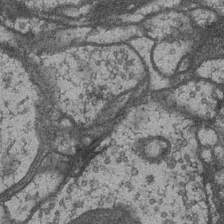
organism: Drosophila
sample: Optic medulla